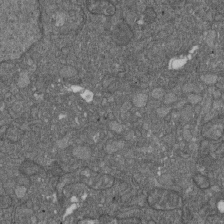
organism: Drosophila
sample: Nephrocyte